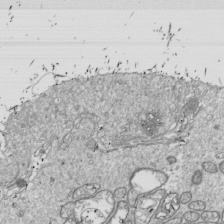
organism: Drosophila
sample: Cell division; meiosis; drosophila spermatocytes